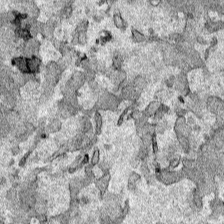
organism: Human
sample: Mitochondria in HCT116 cells